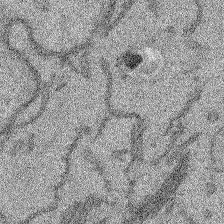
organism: Human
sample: HeLa cells